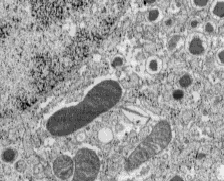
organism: C57BL Mouse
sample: Pancreatic islet